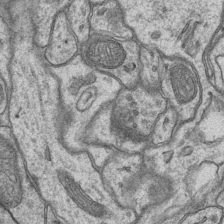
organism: Mouse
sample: CA1 Hippocampus